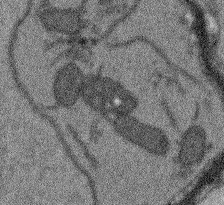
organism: Arabidopsis thaliana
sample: Root tip